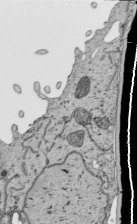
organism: Human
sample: Mitochondria in HCT116 cells